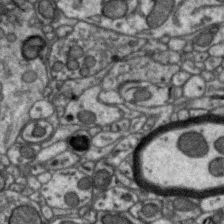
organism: Zebra finch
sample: Brain